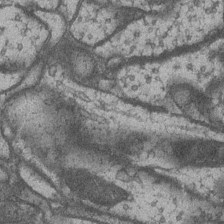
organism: Drosophila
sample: Optic medulla